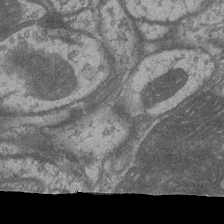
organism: Drosophila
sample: Optic medulla